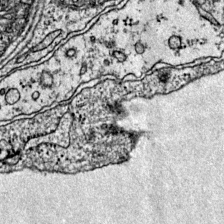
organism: Mouse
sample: Primary visual cortex